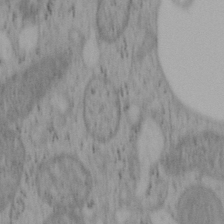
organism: Mouse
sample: OT-I killer T cells with ID8 ovarian cancer cells